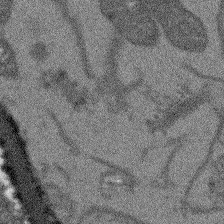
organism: Arabidopsis thaliana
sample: Root tip